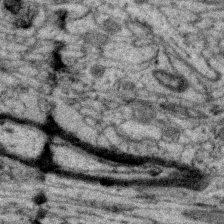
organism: Zebra finch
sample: Brain